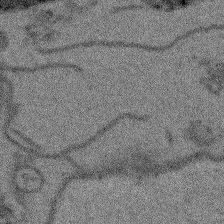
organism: Arabidopsis thaliana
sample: Root tip